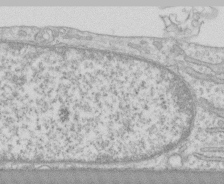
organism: Human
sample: CRL-1474